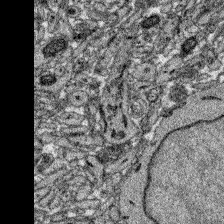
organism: Zebrafish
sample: Larval olfactory bulb